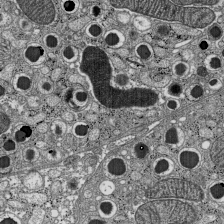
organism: C57BL Mouse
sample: Pancreatic islet